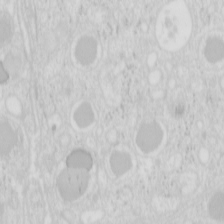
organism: Mouse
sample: Pancreas